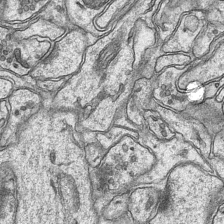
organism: Mouse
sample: CA1 Hippocampus